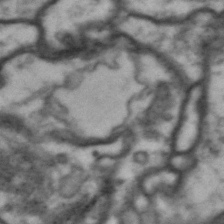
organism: Drosophila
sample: Brain